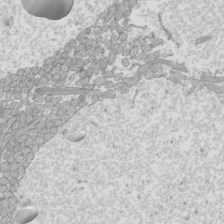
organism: Mouse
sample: Cilia; mouse epididymis